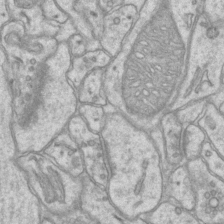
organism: Mouse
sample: CA1 Hippocampus